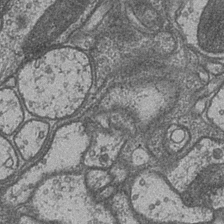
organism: Drosophila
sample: Optic medulla